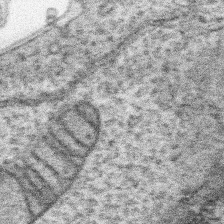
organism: Human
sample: HeLa cells